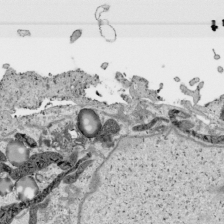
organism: Human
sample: Mitochondria in HCT116 cells